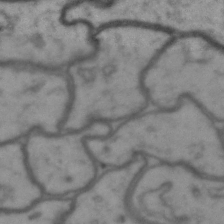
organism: Drosophila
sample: Brain